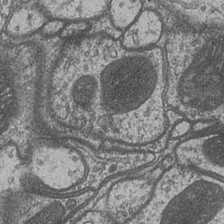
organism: Drosophila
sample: Optic medulla